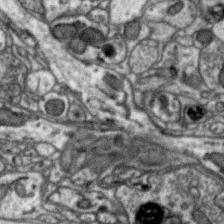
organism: Zebra finch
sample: Brain